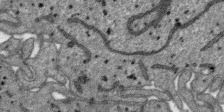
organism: Human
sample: Lung epithelial cells, uninfected (mock) control